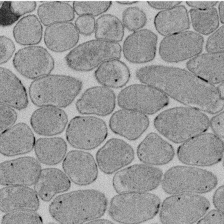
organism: E. coli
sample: Bacterial nucleoid